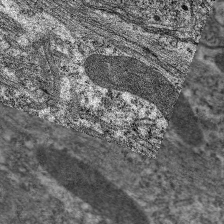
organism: C. elegans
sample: Pharynx